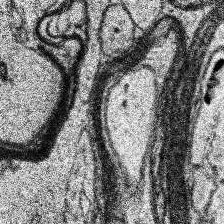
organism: Human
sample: Temporal Lobe